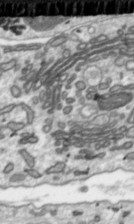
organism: Toxoplasma gondii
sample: Parasites in a vacuole inside a host cell